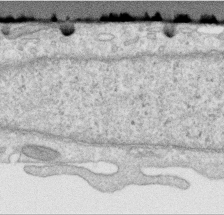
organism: Human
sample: Centriole in RPE cells